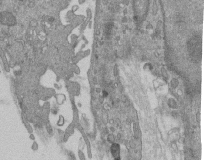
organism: Mouse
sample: ED-1 cell nuclei; centrioles